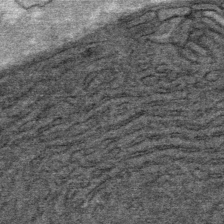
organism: Mouse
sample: Mouse Salivary gland